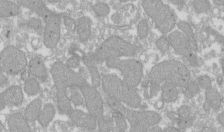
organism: Xenopus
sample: Cilia; centrioles in frog embryo cells